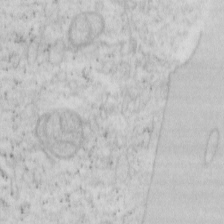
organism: Human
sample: HeLa cells